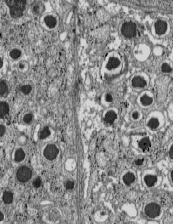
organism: C57BL Mouse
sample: Pancreatic islet